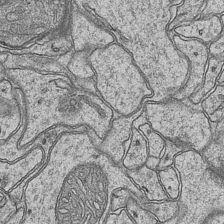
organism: Mouse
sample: CA1 Hippocampus